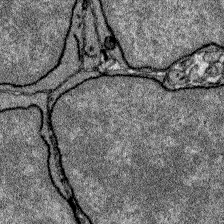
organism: Zebrafish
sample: Larval olfactory bulb